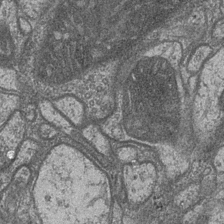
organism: Drosophila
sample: Optic medulla